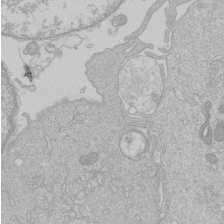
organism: Human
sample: Macrophage cells